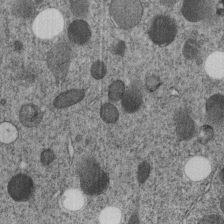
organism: C. elegans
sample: C. elegans embryo early stage